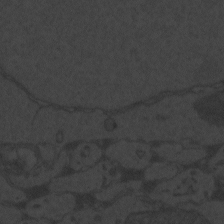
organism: Zebrafish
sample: Macrophage infected with Toxoplasma gondii